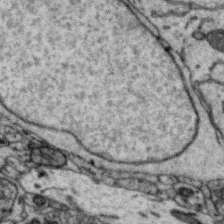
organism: Zebra finch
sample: Brain